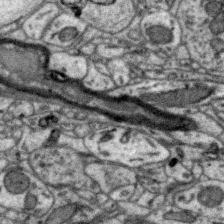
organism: Zebra finch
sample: Brain